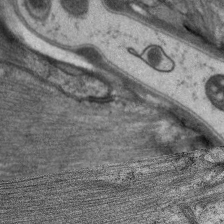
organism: C. elegans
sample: Pharynx